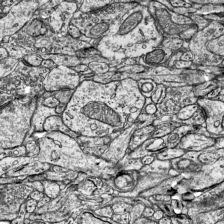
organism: Mouse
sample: Visual Cortex